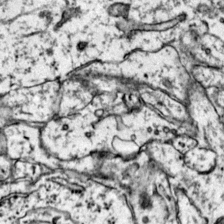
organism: Mouse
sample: Primary visual cortex